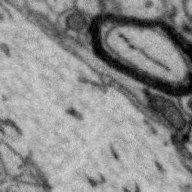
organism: Zebra finch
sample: Brain